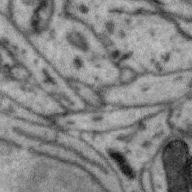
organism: Zebra finch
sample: Brain